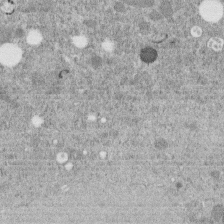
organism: C. elegans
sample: C. elegans embryo early stage